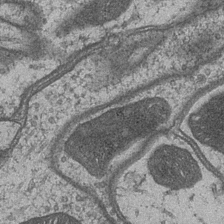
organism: Drosophila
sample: Optic medulla